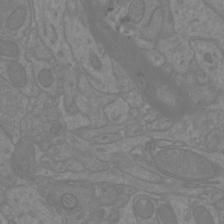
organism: Mouse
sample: Cortical neurons